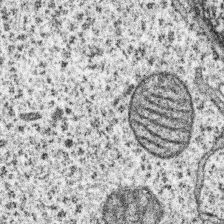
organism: Human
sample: HeLa cells